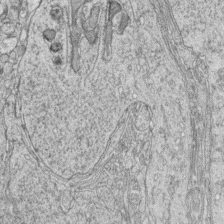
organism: Zebrafish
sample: synaptic ribbons in rod cells and cone cells